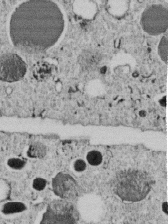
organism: C. elegans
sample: C. elegans embryo early stage